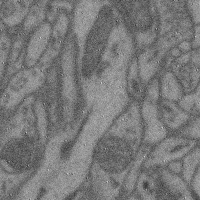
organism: Mouse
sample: Cerebral cortex